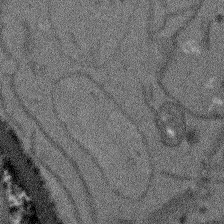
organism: Arabidopsis thaliana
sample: Root tip